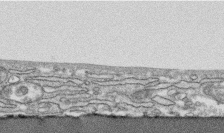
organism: Human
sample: CRL-1474